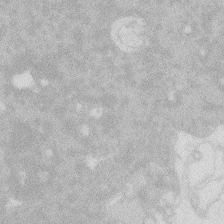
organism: Zebrafish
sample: Macrophage